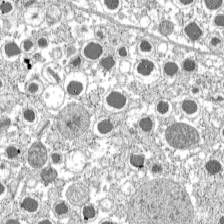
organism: C57BL Mouse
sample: Pancreatic islet